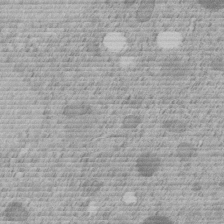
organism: C. elegans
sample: C. elegans embryo early stage